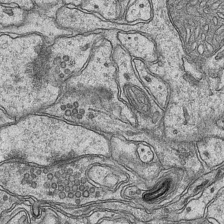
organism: Mouse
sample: CA1 Hippocampus